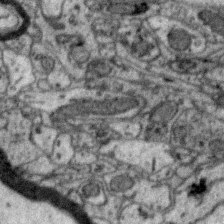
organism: Zebra finch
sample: Brain